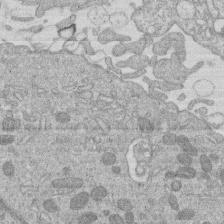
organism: Human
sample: Macrophage cells